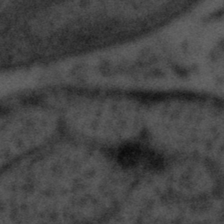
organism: Tuwongella immobilis